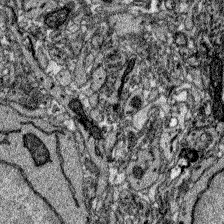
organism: Zebrafish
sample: Larval olfactory bulb